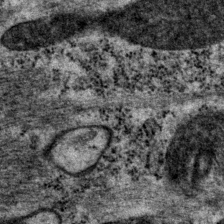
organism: P. pacificus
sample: Pharynx